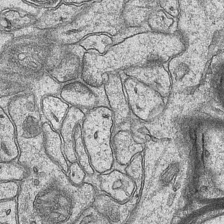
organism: Mouse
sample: CA1 Hippocampus